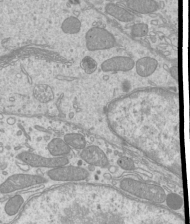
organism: Mouse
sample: Cilia; mouse epididymis